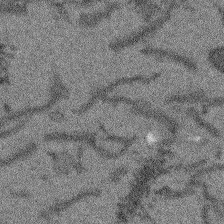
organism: Arabidopsis thaliana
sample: Root tip